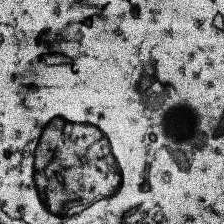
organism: Human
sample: Temporal Lobe